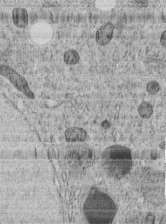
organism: C. elegans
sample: C. elegans embryo early stage